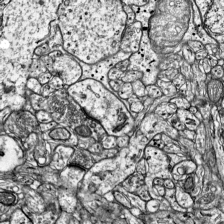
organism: Mouse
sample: Visual Cortex